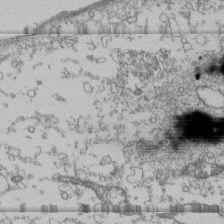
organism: Human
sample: Fibroblast cells